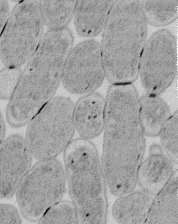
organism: E. coli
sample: Bacterial nucleoid